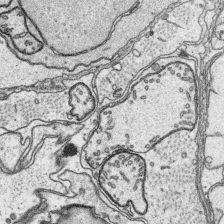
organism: Platynereis dumerilii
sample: Parapodia